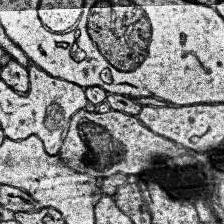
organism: Human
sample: Temporal Lobe